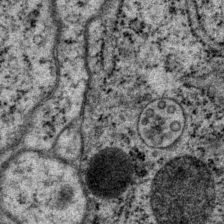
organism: P. pacificus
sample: Pharynx